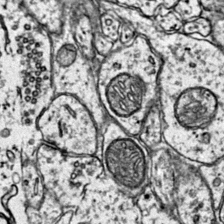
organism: Mouse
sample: Primary visual cortex